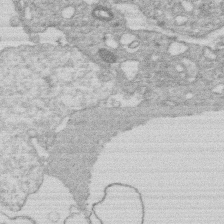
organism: Human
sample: Macrophage cells